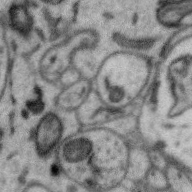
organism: Zebra finch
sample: Brain